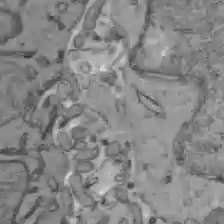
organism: C57BL Mouse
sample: Liver